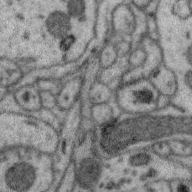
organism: Zebra finch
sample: Brain